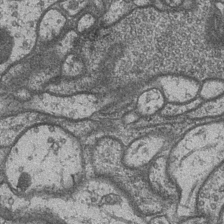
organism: Drosophila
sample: Optic medulla